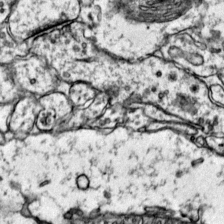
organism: Mouse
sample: Primary visual cortex